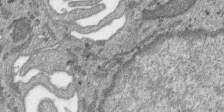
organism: Human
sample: Lung epithelial cells infected with SARS-CoV-2